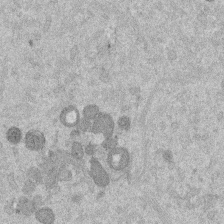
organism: Mouse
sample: Dividing mouse embryo 1 cell stage